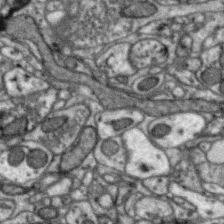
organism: Zebra finch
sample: Brain